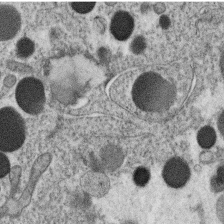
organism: C. elegans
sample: C. elegans oocyte; sperm cells